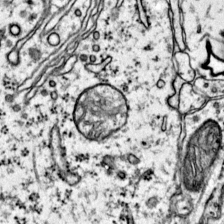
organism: Mouse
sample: Primary visual cortex